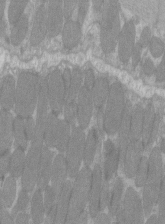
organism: C57BL Mouse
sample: Tibialis anterior muscle cell